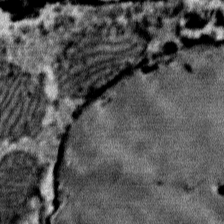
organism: Mouse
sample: Mouse Salivary gland